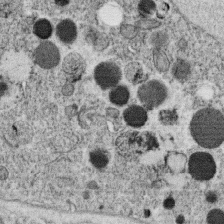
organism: C. elegans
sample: C. elegans oocyte; sperm cells